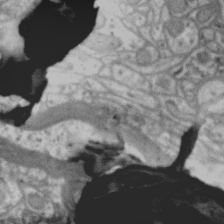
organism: Zebra finch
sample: Brain